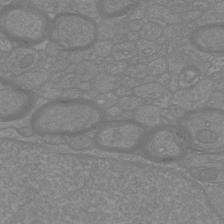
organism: Mouse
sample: Cortical neurons